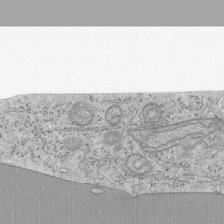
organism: Human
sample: HeLa cells